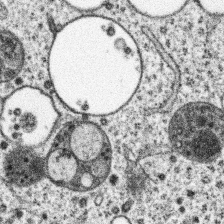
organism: Human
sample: HeLa cells